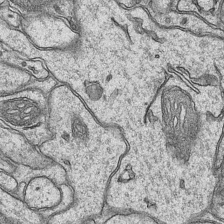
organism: Mouse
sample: CA1 Hippocampus